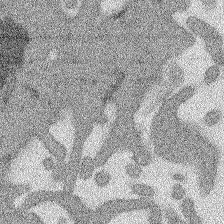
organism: Human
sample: HeLa cells